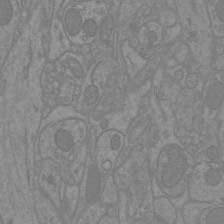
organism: Mouse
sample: Cortical neurons